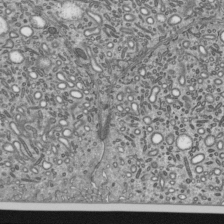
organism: Mouse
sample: Mouse epididymis efferent ductule cilia